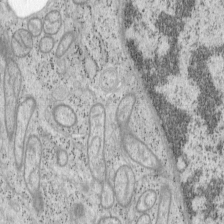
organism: Mouse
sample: OT-I killer T cells with ID8 ovarian cancer cells